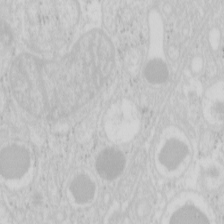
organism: Mouse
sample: Pancreas